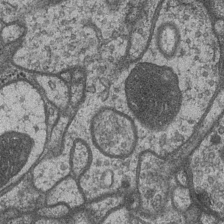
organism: Drosophila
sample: Optic medulla